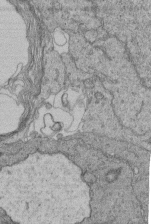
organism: Human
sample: Retinal organoid Rod and Cone cells